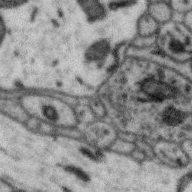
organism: Zebra finch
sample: Brain